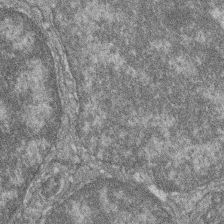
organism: Zebrafish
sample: Cilia; retinal pigment epithelium